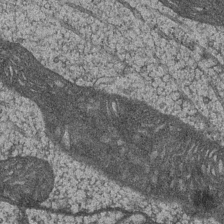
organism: Drosophila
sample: Optic medulla